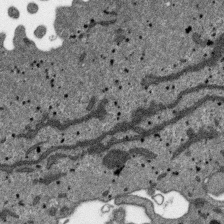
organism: Human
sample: Lung epithelial cells, uninfected (mock) control